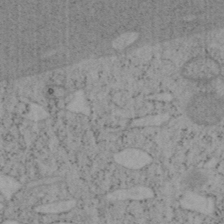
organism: Mouse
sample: OT-I killer T cells with ID8 ovarian cancer cells